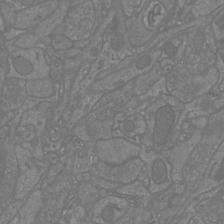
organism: Mouse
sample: Cortical neurons